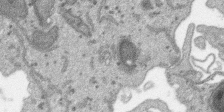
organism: Human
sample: Lung epithelial cells infected with SARS-CoV-2